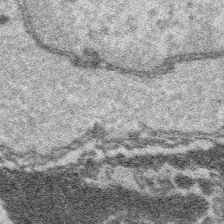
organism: Platynereis dumerilii